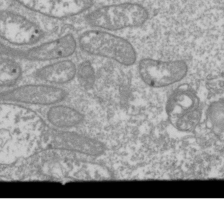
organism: Drosophila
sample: Cell division; meiosis; drosophila spermatocytes